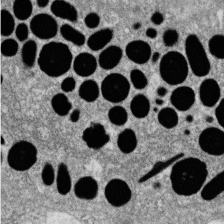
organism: Zebrafish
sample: Cilia; retinal pigment epithelium